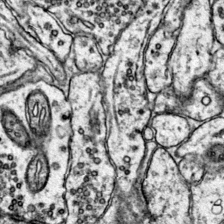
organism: Mouse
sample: Primary visual cortex